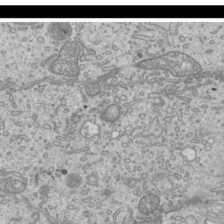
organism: Mouse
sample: Cilia; mouse epididymis